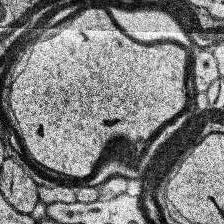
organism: Human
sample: Temporal Lobe